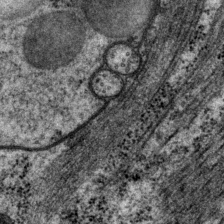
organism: P. pacificus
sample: Pharynx